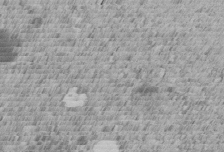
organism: C. elegans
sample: C. elegans embryo early stage